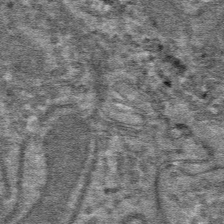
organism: Mouse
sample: Mouse hepatocytes